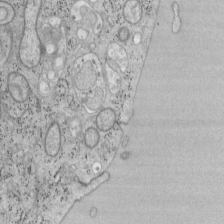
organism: Mouse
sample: OT-I killer T cells with ID8 ovarian cancer cells